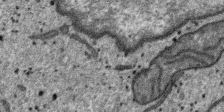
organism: Human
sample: Lung epithelial cells, uninfected (mock) control